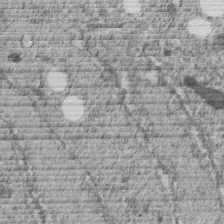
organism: C. elegans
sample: C. elegans embryo early stage